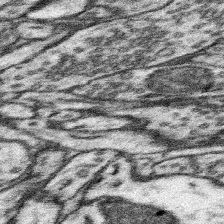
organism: Mouse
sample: Somatosensory cortex neuropil